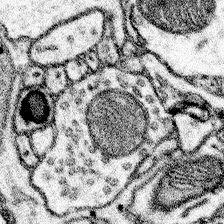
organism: Mouse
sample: Somatosensory cortex neuropil